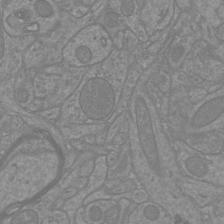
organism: Mouse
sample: Cortical neurons